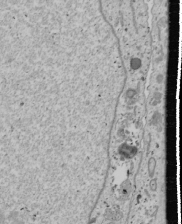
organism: Human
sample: Mitochondria in U2OS cells